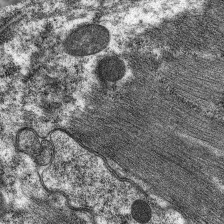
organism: C. elegans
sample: Pharynx